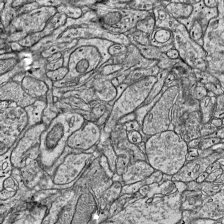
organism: Mouse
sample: Visual Cortex